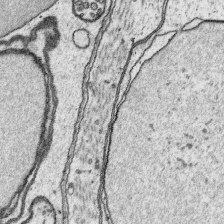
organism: Platynereis dumerilii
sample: Parapodia